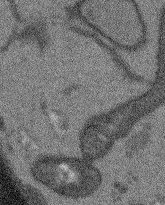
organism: Arabidopsis thaliana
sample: Root tip